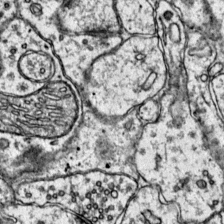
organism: Mouse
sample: Primary visual cortex